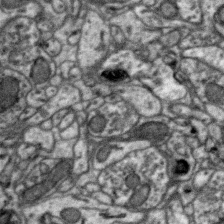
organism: Zebra finch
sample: Brain